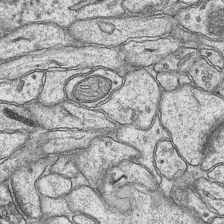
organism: Mouse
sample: CA1 Hippocampus